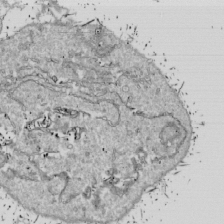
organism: Drosophila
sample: Cell division; meiosis; drosophila spermatocytes